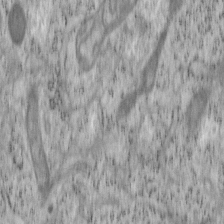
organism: Human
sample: HeLa cells